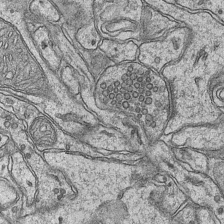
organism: Mouse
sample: CA1 Hippocampus